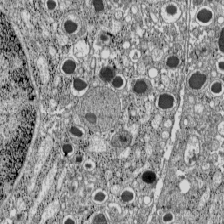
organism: C57BL Mouse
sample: Pancreatic islet